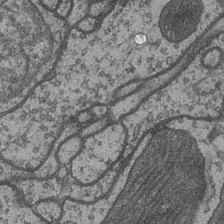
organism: Drosophila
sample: Optic medulla